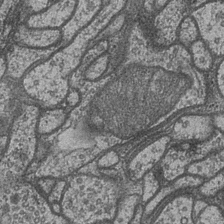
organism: Drosophila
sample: Optic medulla